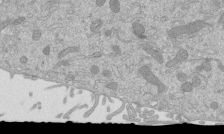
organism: Mouse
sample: ED-1 cell nuclei; centrioles